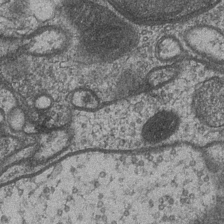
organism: Drosophila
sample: Optic medulla